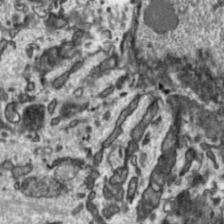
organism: Toxoplasma gondii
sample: Parasites in a vacuole inside a host cell